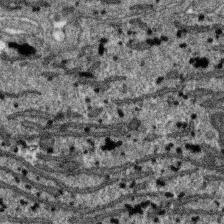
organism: Human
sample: Lung epithelial cells infected with SARS-CoV-2